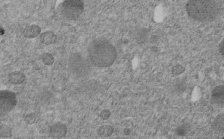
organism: C. elegans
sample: C. elegans embryo early stage